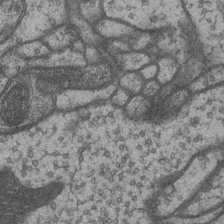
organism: Drosophila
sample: Optic medulla